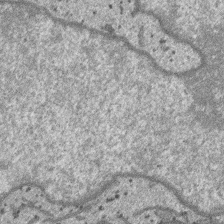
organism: Human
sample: Lung epithelial cells infected with SARS-CoV-2